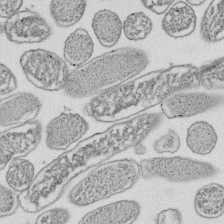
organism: E. coli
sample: Bacterial nucleoid